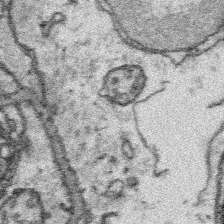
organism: Platynereis dumerilii